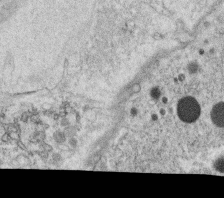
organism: C. elegans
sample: C. elegans oocyte; sperm cells